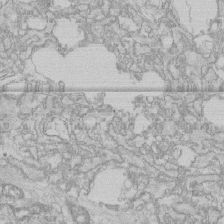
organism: Human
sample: CRL-1474